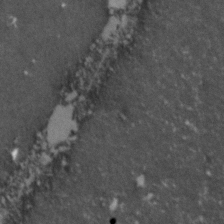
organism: Zebrafish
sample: Zebrafish embryo